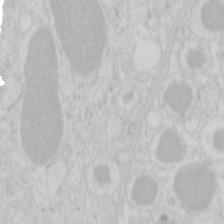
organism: Mouse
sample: Pancreas